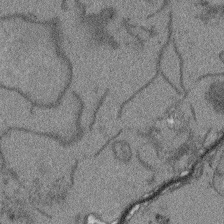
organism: Arabidopsis thaliana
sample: Root tip